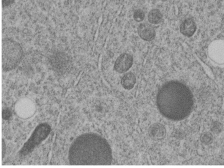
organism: C. elegans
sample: C. elegans embryo early stage